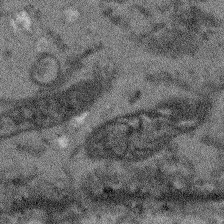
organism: Arabidopsis thaliana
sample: Root tip